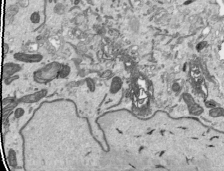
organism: Human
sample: Mitochondria in HCT116 cells